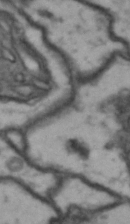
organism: Drosophila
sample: Brain